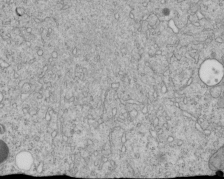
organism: C. elegans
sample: C. elegans embryo early stage